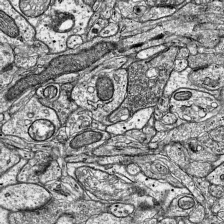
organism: Mouse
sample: Visual Cortex